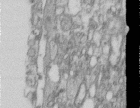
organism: Human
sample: Centriole in RPE cells